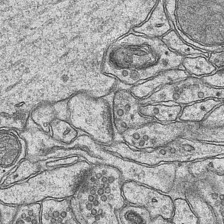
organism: Mouse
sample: CA1 Hippocampus